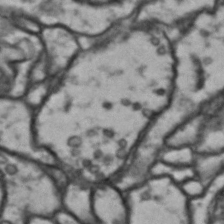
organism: Drosophila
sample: Brain